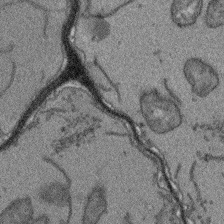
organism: Arabidopsis thaliana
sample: Root tip